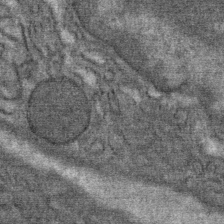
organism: Mouse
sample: Mouse Salivary gland